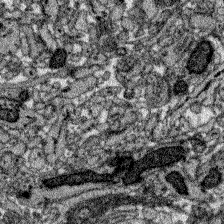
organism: Zebrafish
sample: Larval olfactory bulb